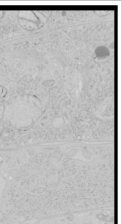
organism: Human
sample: Mitochondria in HCT116 cells